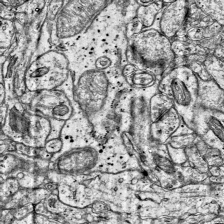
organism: Mouse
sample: Visual Cortex